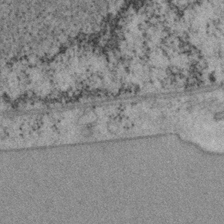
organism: Human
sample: HeLa cells